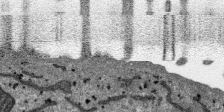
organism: Human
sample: Lung epithelial cells, uninfected (mock) control